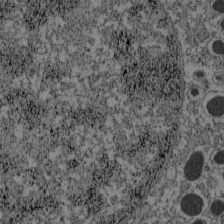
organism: C57BL Mouse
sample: Pancreatic islet